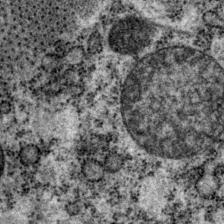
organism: P. pacificus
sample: Pharynx